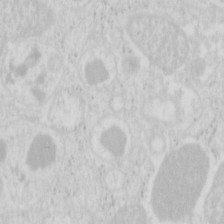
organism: Mouse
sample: Pancreas